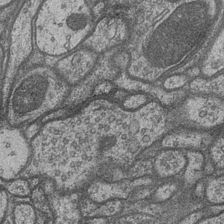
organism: Drosophila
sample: Optic medulla